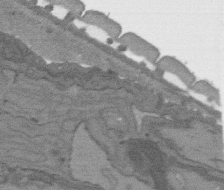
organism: C. elegans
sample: AFD neurons C. elegans